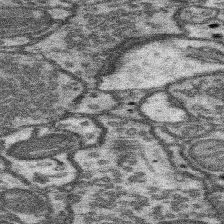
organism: Mouse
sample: Somatosensory cortex neuropil